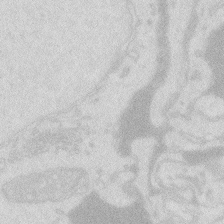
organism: Zebrafish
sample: Macrophage